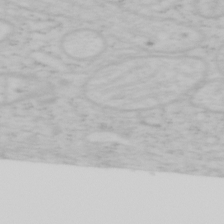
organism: Mouse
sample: OT-I killer T cells with ID8 ovarian cancer cells